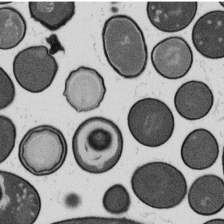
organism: B. subtilis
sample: Bacterial spore